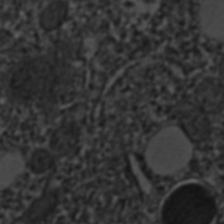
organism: C. elegans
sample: C. elegans embryo